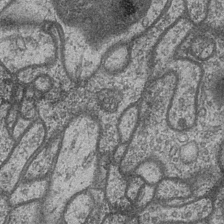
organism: Drosophila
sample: Optic medulla